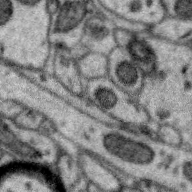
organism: Zebra finch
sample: Brain